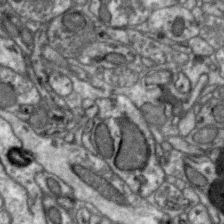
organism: Zebra finch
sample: Brain